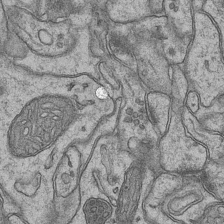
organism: Mouse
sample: CA1 Hippocampus